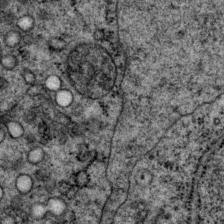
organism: P. pacificus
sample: Pharynx